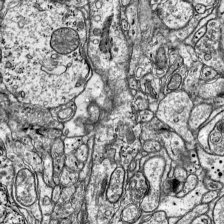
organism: Mouse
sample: Visual Cortex